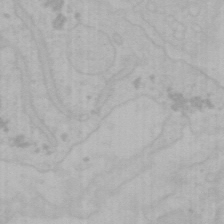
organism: Mouse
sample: Choroid plexus